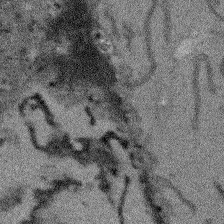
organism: Arabidopsis thaliana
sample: Root tip